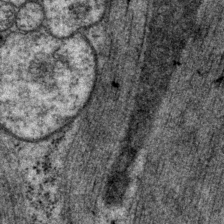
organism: P. pacificus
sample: Pharynx